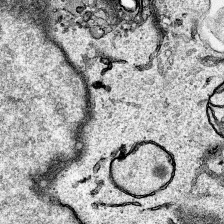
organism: Human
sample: Mitochondria in HCT116 cells